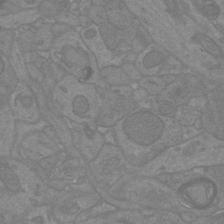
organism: Mouse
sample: Cortical neurons